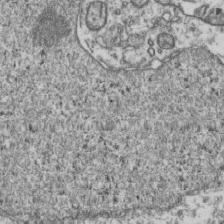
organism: Human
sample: Activated Jurkat CD4+ T cells